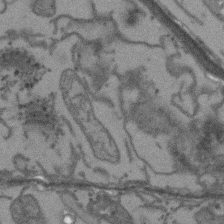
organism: Arabidopsis thaliana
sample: Root tip